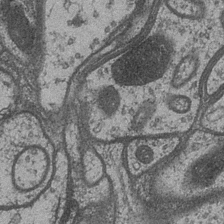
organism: Drosophila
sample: Optic medulla